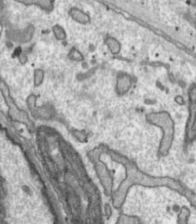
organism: Toxoplasma gondii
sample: Parasites in a vacuole inside a host cell